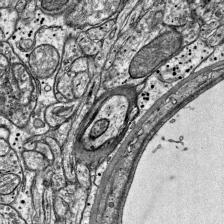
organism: Mouse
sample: Visual Cortex